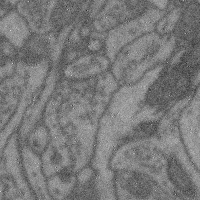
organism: Mouse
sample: Cerebral cortex